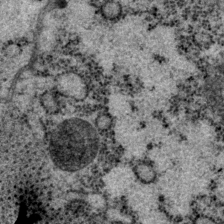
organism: P. pacificus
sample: Pharynx